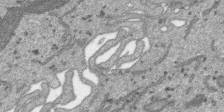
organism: Human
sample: Lung epithelial cells infected with SARS-CoV-2